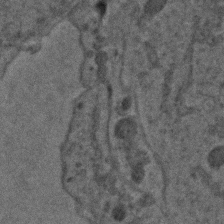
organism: C. elegans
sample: C. elegans embryo